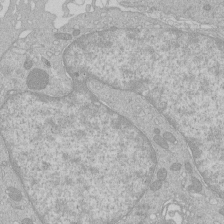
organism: Human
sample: Macrophage cells